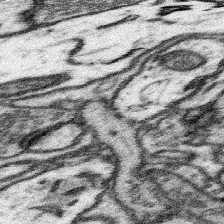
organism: Mouse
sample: Somatosensory cortex neuropil